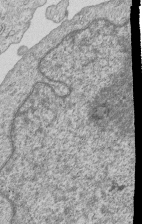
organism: Human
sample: MDA-MB-231 cells